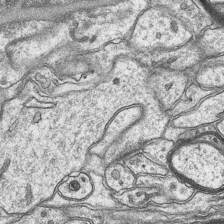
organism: Mouse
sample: CA1 Hippocampus